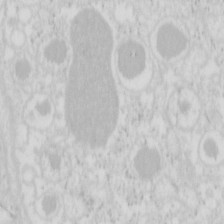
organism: Mouse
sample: Pancreas